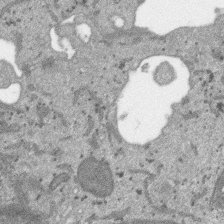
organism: Human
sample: Lung epithelial cells infected with SARS-CoV-2